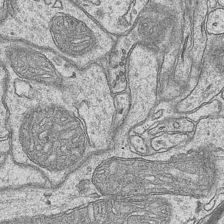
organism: Mouse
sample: CA1 Hippocampus